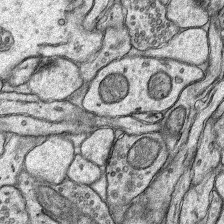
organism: Rat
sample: Hippocampus